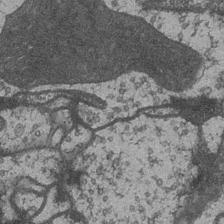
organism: Drosophila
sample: Optic medulla